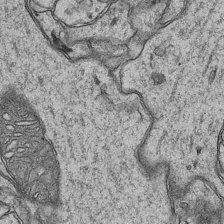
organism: Mouse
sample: CA1 Hippocampus